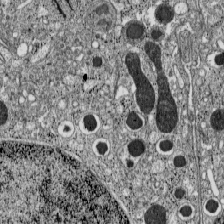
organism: C57BL Mouse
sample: Pancreatic islet